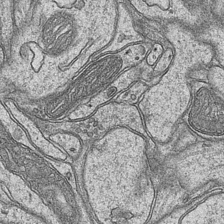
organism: Mouse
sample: CA1 Hippocampus